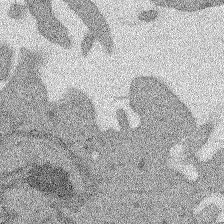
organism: Human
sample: HeLa cells